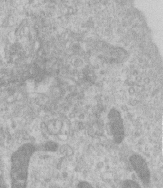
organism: Human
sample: Centriole in RPE cells